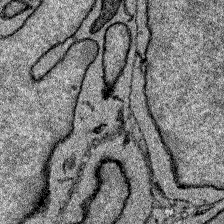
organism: Zebrafish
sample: Larval olfactory bulb